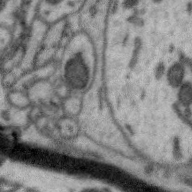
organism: Zebra finch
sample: Brain